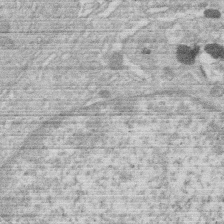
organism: Human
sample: Macrophage cells